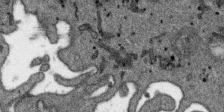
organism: Human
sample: Lung epithelial cells, uninfected (mock) control